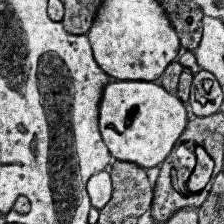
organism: Human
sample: Temporal Lobe